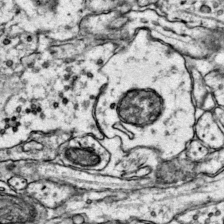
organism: Mouse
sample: Primary visual cortex